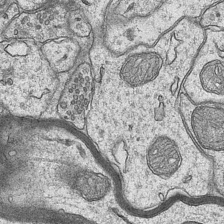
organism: Mouse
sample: CA1 Hippocampus